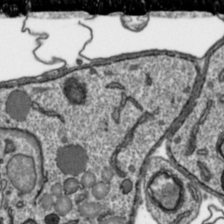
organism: Toxoplasma gondii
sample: Parasites in a vacuole inside a host cell